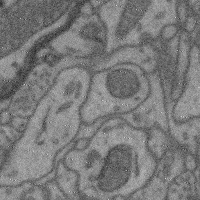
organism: Mouse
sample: Cerebral cortex